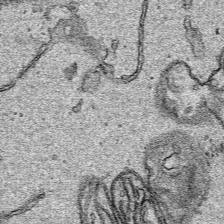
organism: Human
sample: Mitochondria in HCT116 cells